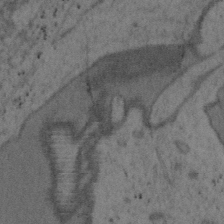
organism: Human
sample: HeLa cells